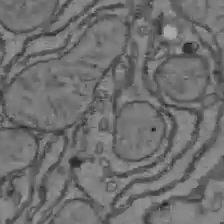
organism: C57BL Mouse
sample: Liver